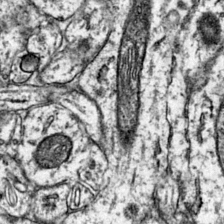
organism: Mouse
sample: Primary visual cortex